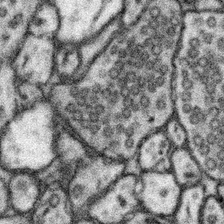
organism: Mouse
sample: Somatosensory cortex neuropil